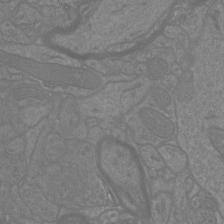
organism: Mouse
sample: Cortical neurons